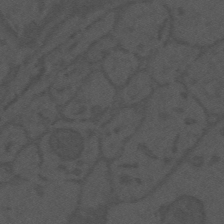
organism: Mouse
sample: Suprachiasmatic nucleus